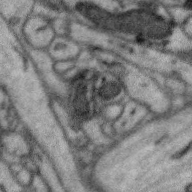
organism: Zebra finch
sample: Brain